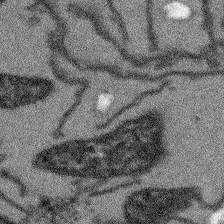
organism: Arabidopsis thaliana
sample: Root tip